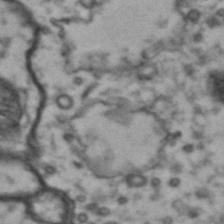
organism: Drosophila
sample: Brain